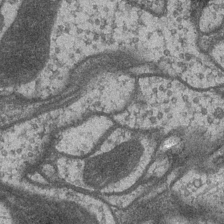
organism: Drosophila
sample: Optic medulla